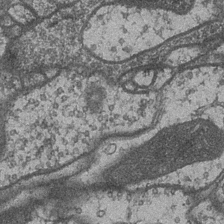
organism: Drosophila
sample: Optic medulla